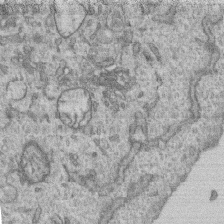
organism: Human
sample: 1205lu cells